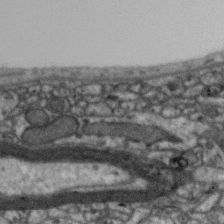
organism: Zebra finch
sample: Brain